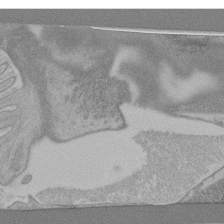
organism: C. elegans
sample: C. elegans pharynx